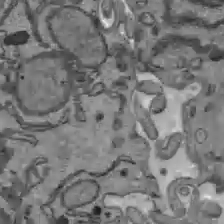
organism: C57BL Mouse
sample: Liver